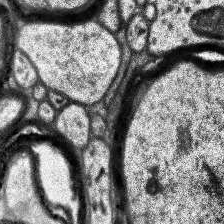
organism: Human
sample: Temporal Lobe